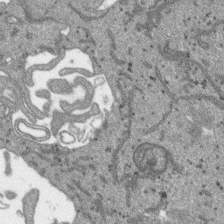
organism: Human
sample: Lung epithelial cells infected with SARS-CoV-2